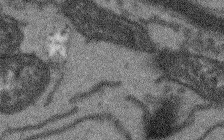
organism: Arabidopsis thaliana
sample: Root tip